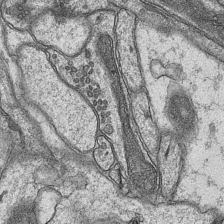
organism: Mouse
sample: CA1 Hippocampus